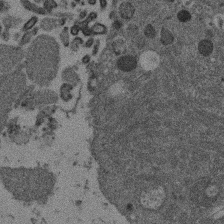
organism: Mouse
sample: Dividing mouse embryo 1 cell stage